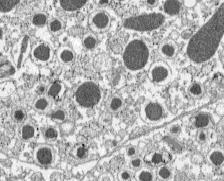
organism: C57BL Mouse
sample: Pancreatic islet